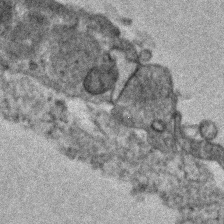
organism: Human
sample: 1205lu cells